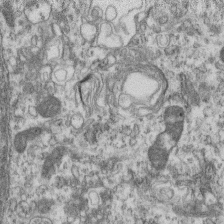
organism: Mouse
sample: Centriole in ependymal cells